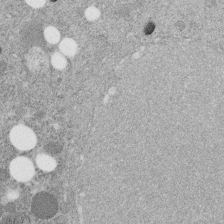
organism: C. elegans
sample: C. elegans embryo early stage